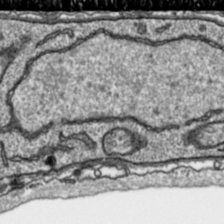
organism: Toxoplasma gondii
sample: Parasites in a vacuole inside a host cell